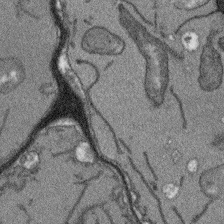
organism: Arabidopsis thaliana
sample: Root tip